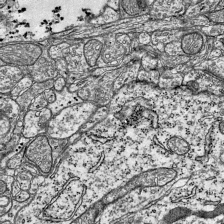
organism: Mouse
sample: Visual Cortex